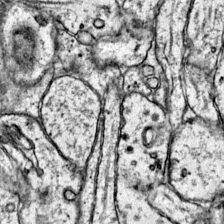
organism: Mouse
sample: Primary visual cortex